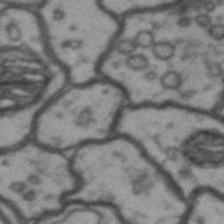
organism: Drosophila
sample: Brain